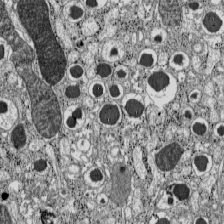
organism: C57BL Mouse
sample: Pancreatic islet